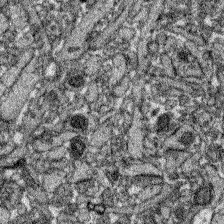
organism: Zebrafish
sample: Larval olfactory bulb